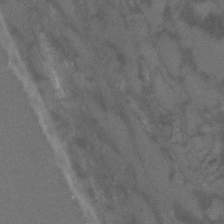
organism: C. elegans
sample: C. elegans embryo